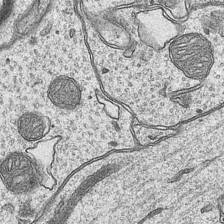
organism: Mouse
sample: CA1 Hippocampus